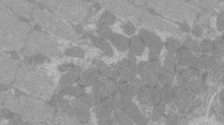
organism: C57BL Mouse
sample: Tibialis anterior muscle cell